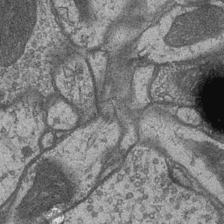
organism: Drosophila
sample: Optic medulla